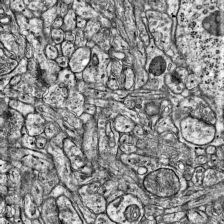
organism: Mouse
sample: Visual Cortex